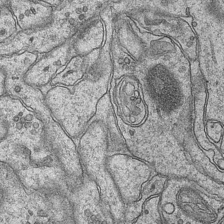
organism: Mouse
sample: CA1 Hippocampus